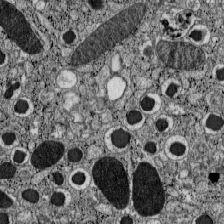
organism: C57BL Mouse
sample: Pancreatic islet